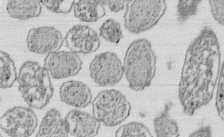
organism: E. coli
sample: Bacterial nucleoid